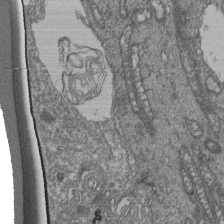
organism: Human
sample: Retinal organoid Rod and Cone cells